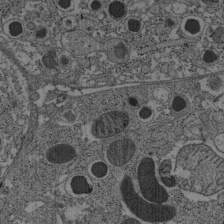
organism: C57BL Mouse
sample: Pancreatic islet